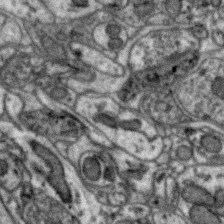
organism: Zebra finch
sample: Brain